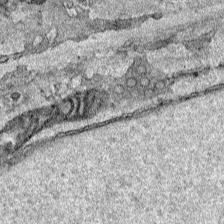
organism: Human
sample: Mitochondria in HCT116 cells